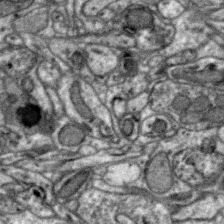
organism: Zebra finch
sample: Brain